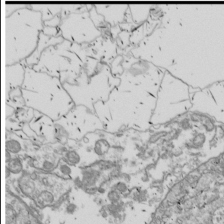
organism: Drosophila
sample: Cell division; meiosis; drosophila spermatocytes